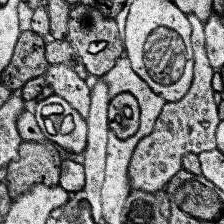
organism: Human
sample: Temporal Lobe